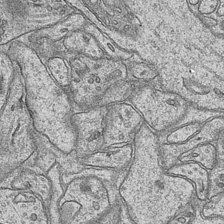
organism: Mouse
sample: CA1 Hippocampus